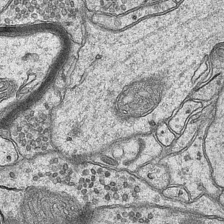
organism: Mouse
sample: CA1 Hippocampus